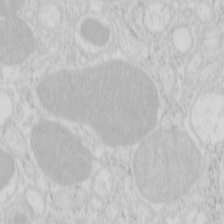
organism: Mouse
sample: Pancreas